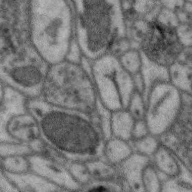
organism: Zebra finch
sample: Brain